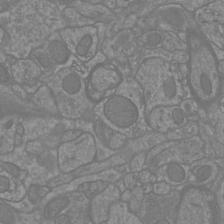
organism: Mouse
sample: Cortical neurons